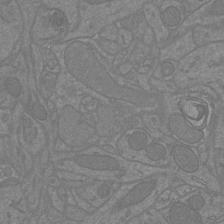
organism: Mouse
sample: Cortical neurons